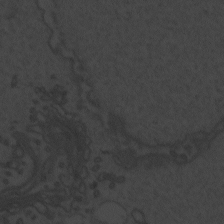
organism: Zebrafish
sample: Macrophage infected with Toxoplasma gondii